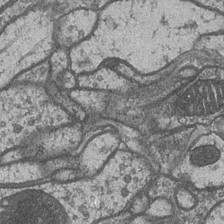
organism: Drosophila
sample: Optic medulla